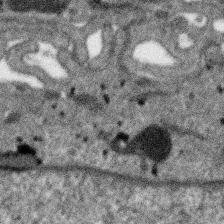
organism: Human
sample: Lung epithelial cells infected with SARS-CoV-2